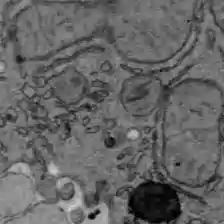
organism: C57BL Mouse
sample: Liver